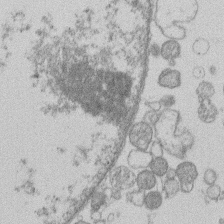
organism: Human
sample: Macrophage cells